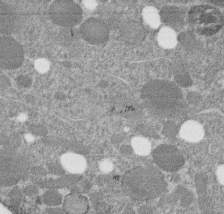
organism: C. elegans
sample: C. elegans embryo early stage